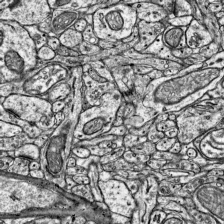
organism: Mouse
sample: Visual Cortex